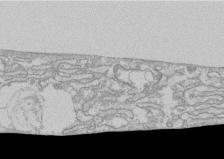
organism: Human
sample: CRL-1474